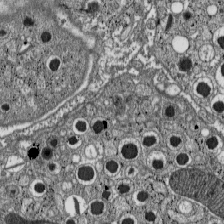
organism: C57BL Mouse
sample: Pancreatic islet